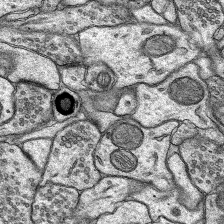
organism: Rat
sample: Hippocampus